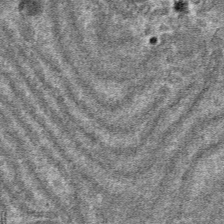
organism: Mouse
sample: Mouse hepatocytes